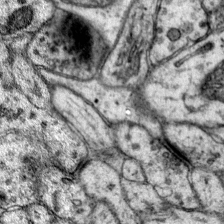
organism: Mouse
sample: Primary visual cortex